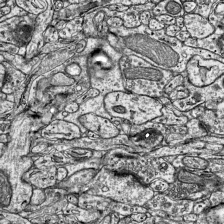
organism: Mouse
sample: Visual Cortex